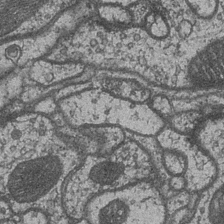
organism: Drosophila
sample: Optic medulla